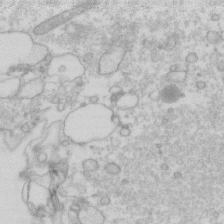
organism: Human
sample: Fibroblast cells